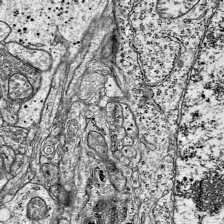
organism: Mouse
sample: Visual Cortex